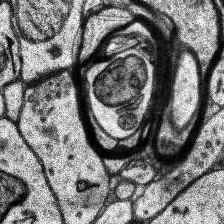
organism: Human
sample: Temporal Lobe